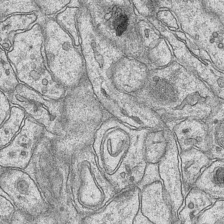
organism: Mouse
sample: CA1 Hippocampus